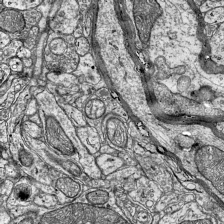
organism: Mouse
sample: Visual Cortex